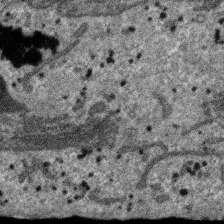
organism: Human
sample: Lung epithelial cells infected with SARS-CoV-2